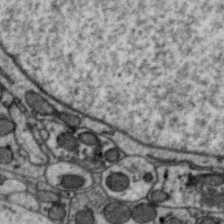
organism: Zebra finch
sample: Brain